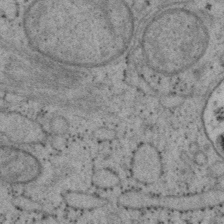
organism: Human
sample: HeLa cells